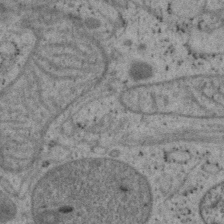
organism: Human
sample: HeLa cells